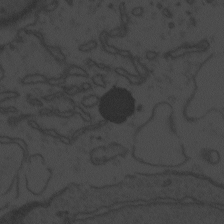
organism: Zebrafish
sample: Macrophage infected with Toxoplasma gondii